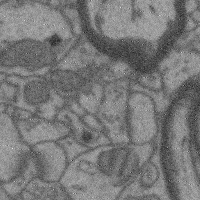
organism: Mouse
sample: Cerebral cortex